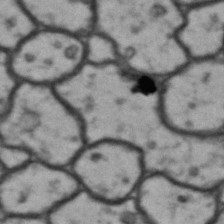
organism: Drosophila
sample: Brain